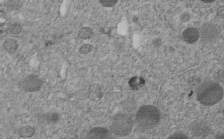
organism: C. elegans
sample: C. elegans embryo early stage